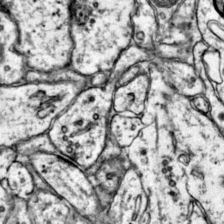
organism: Mouse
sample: Primary visual cortex